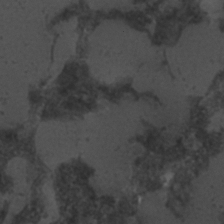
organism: C. elegans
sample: C. elegans embryo